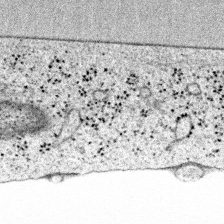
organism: Human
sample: HeLa cells